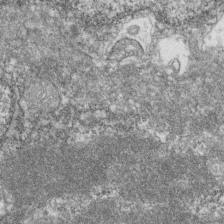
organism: Zebrafish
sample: Cilia; retinal pigment epithelium